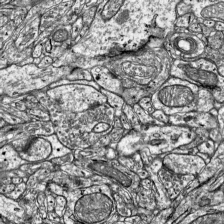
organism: Mouse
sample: Visual Cortex